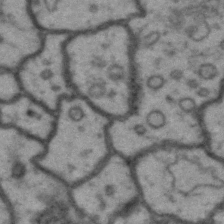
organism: Drosophila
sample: Brain